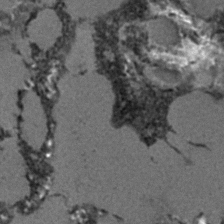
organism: C. elegans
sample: C. elegans embryo